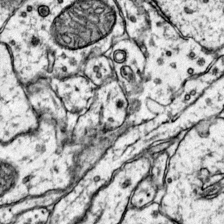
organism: Mouse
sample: Primary visual cortex